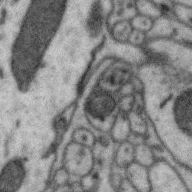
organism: Zebra finch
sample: Brain